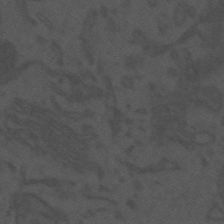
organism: Mouse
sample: Suprachiasmatic nucleus